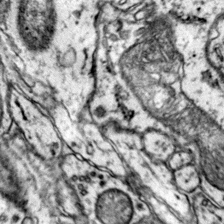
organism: Mouse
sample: Primary visual cortex